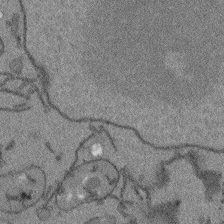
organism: Arabidopsis thaliana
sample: Root tip